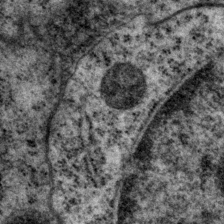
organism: P. pacificus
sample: Pharynx